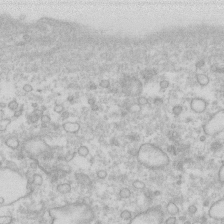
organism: Human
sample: Fibroblast cells